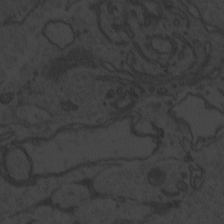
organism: Zebrafish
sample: Macrophage infected with Toxoplasma gondii